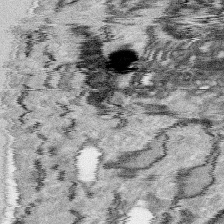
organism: Human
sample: HeLa cells